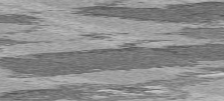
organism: C57BL Mouse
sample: Heart